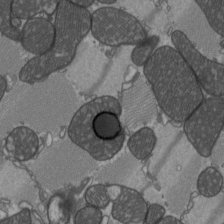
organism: C57BL Mouse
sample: Heart